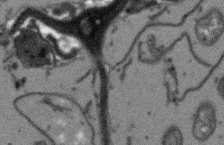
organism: Arabidopsis thaliana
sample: Root tip